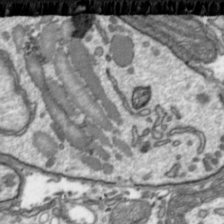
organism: Toxoplasma gondii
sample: Parasites in a vacuole inside a host cell